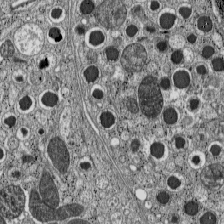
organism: C57BL Mouse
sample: Pancreatic islet